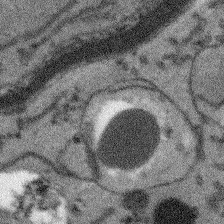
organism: Arabidopsis thaliana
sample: Root tip